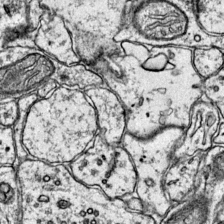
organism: Mouse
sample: Primary visual cortex